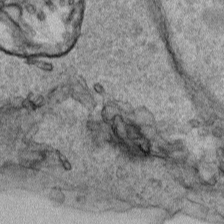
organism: Human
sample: Mitochondria in HCT116 cells